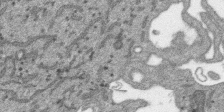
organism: Human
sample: Lung epithelial cells infected with SARS-CoV-2